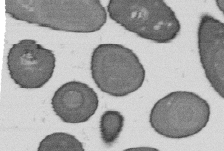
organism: B. subtilis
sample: Bacterial spore